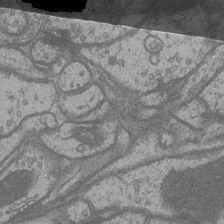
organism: Drosophila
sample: Optic medulla